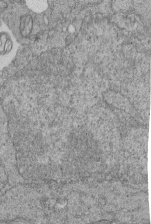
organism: Human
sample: Retinal organoid Rod and Cone cells